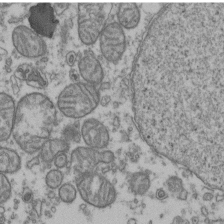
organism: Human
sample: Activated Jurkat CD4+ T cells